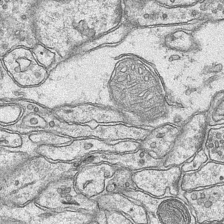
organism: Mouse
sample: CA1 Hippocampus